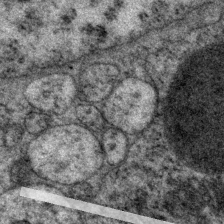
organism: P. pacificus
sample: Pharynx